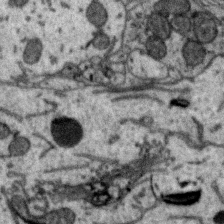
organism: Zebra finch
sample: Brain